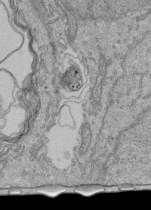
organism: Human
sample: Retinal organoid Rod and Cone cells